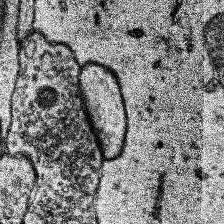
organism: Human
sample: Temporal Lobe